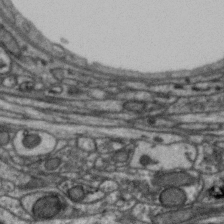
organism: Zebra finch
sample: Brain